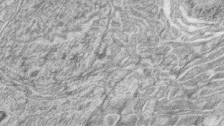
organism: Zebrafish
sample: synaptic ribbons in rod cells and cone cells